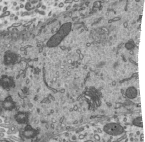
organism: Mouse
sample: Mouse epididymis efferent ductule cilia